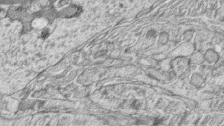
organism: Zebrafish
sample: synaptic ribbons in rod cells and cone cells